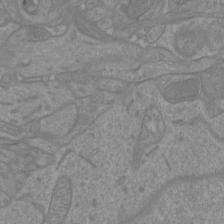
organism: Mouse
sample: Cortical neurons